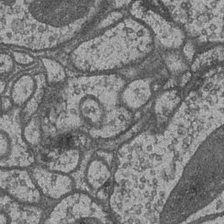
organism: Drosophila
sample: Optic medulla